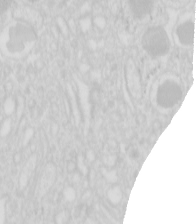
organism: Mouse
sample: Pancreas